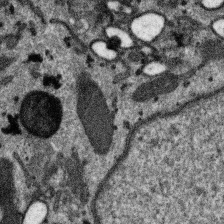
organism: Human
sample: Lung epithelial cells infected with SARS-CoV-2